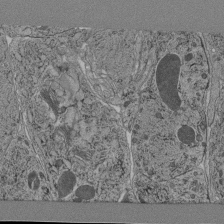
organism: C. elegans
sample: C. elegans pharynx